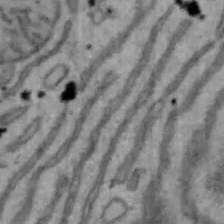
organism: Mouse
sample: Liver